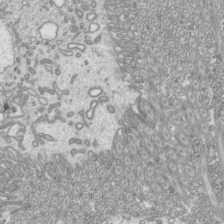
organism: Mouse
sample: Cilia; mouse epididymis